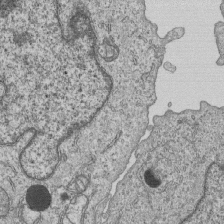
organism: Human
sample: MDA-MB-231 cells